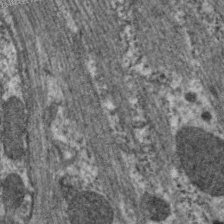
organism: C. elegans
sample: Pharynx